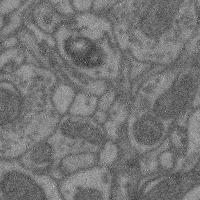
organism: Mouse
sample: Cerebral cortex